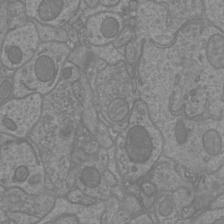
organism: Mouse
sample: Cortical neurons